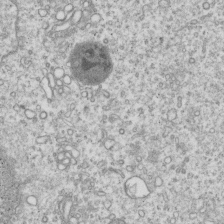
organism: Human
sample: MDA-MB-231 cells